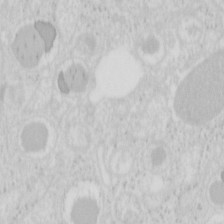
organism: Mouse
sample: Pancreas